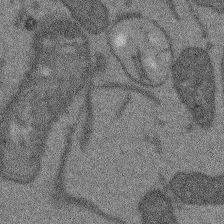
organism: Arabidopsis thaliana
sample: Root tip